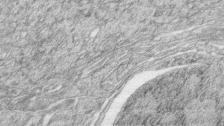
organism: Zebrafish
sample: synaptic ribbons in rod cells and cone cells